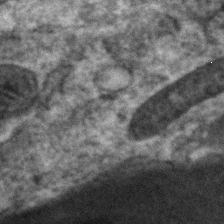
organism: Zebrafish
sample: Zebrafish embryo